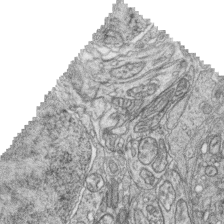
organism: Zebrafish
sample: synaptic ribbons in rod cells and cone cells